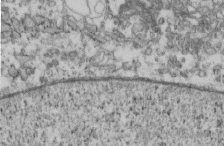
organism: Mouse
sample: Cilia; retinal pigment epithelium